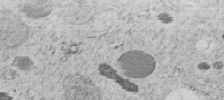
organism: C. elegans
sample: C. elegans embryo early stage